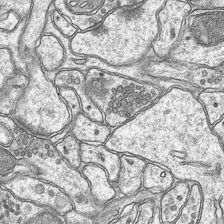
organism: Mouse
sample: CA1 Hippocampus